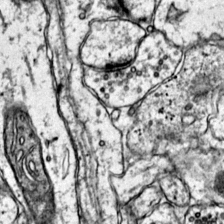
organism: Mouse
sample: Primary visual cortex